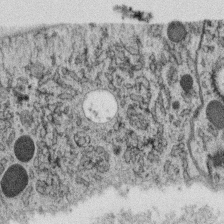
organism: C. elegans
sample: C. elegans oocyte; sperm cells